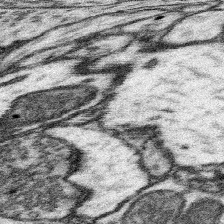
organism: Mouse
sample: Somatosensory cortex neuropil